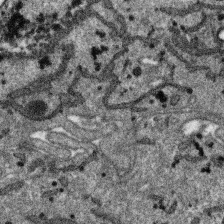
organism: Human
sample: Lung epithelial cells infected with SARS-CoV-2